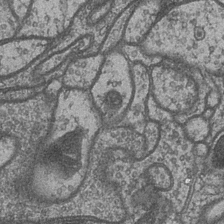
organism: Drosophila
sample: Optic medulla